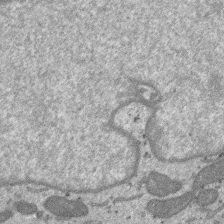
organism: Human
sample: Lung epithelial cells infected with SARS-CoV-2